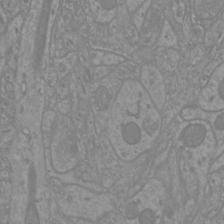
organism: Mouse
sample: Cortical neurons